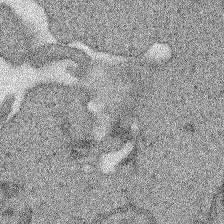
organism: Human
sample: HeLa cells